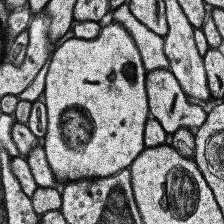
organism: Human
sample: Temporal Lobe